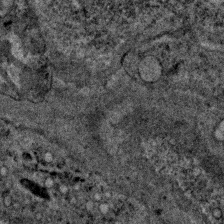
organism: C. elegans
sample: C. elegans embryo